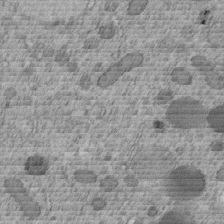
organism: C. elegans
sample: C. elegans embryo early stage